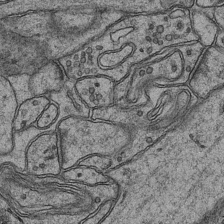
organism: Mouse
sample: CA1 Hippocampus